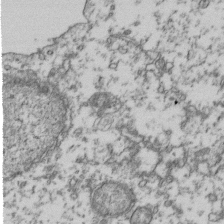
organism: Human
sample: Activated Jurkat CD4+ T cells